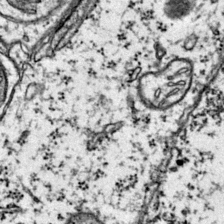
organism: Mouse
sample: Primary visual cortex